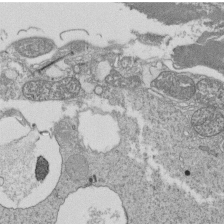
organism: Tetrahymena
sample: Cilia in tetrahymena